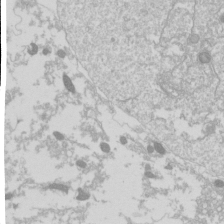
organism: Drosophila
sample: Cell division; meiosis; drosophila spermatocytes